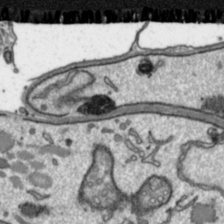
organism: Toxoplasma gondii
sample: Parasites in a vacuole inside a host cell